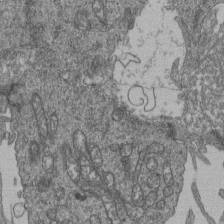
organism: Human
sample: Retinal organoid Rod and Cone cells